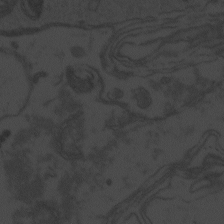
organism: Zebrafish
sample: Macrophage infected with Toxoplasma gondii